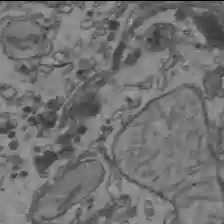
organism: C57BL Mouse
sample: Liver